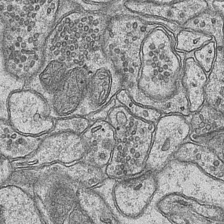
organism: Mouse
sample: CA1 Hippocampus